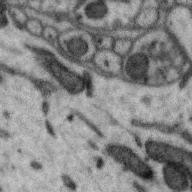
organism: Zebra finch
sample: Brain